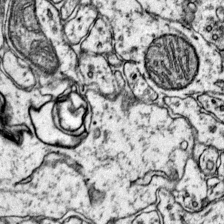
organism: Mouse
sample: Primary visual cortex